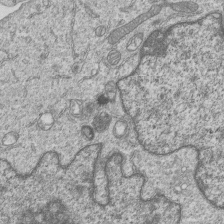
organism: Human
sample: MDA-MB-231 cells